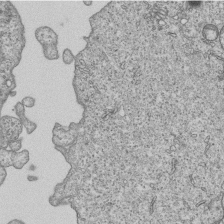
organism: Human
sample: MDA-MB-231 cells